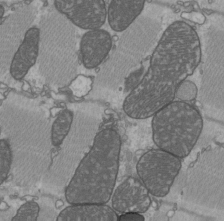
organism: C57BL Mouse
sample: Heart